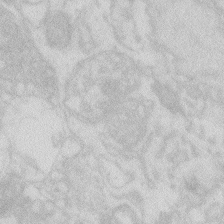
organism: Zebrafish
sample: Macrophage